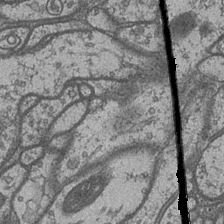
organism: Drosophila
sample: Optic medulla